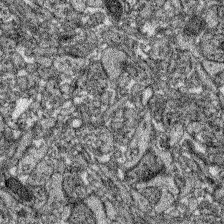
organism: Zebrafish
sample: Larval olfactory bulb